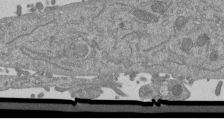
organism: Mouse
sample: ED-1 cell nuclei; centrioles